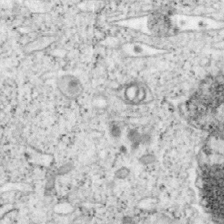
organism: Mouse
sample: OT-I killer T cells with ID8 ovarian cancer cells